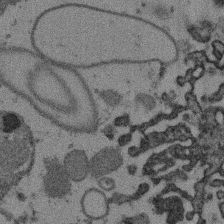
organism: Mouse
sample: Dividing mouse embryo 1 cell stage